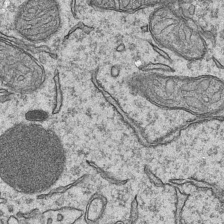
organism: Mouse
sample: CA1 Hippocampus